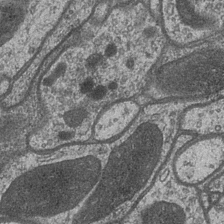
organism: Drosophila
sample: Optic medulla